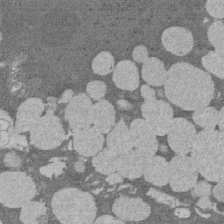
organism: Rat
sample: Salivary granule